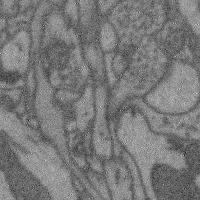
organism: Mouse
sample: Cerebral cortex